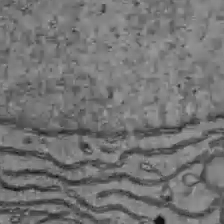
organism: C57BL Mouse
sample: Liver